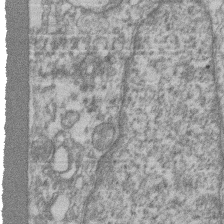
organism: Mouse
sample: T cell stromal cell synapse